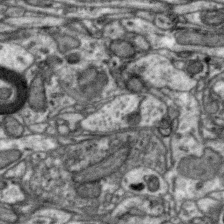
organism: Zebra finch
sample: Brain